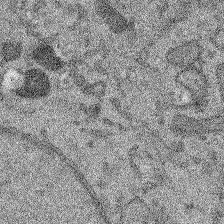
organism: Human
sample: HeLa cells